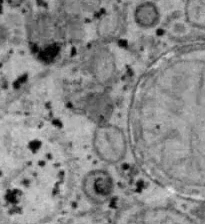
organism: Mouse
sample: Liver from an obese (ob/ob) mouse